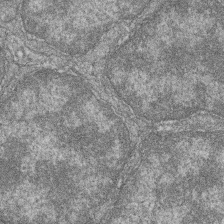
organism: Zebrafish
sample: Cilia; retinal pigment epithelium